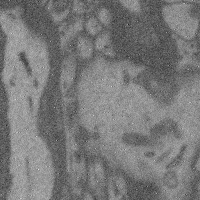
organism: Mouse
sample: Cerebral cortex